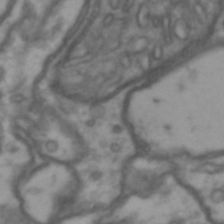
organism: Drosophila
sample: Brain